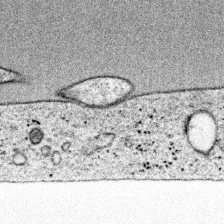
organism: Human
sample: HeLa cells